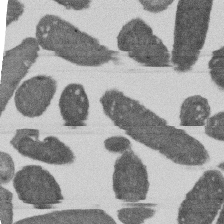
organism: E. coli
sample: Bacterial nucleoid